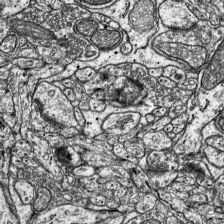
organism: Mouse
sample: Visual Cortex